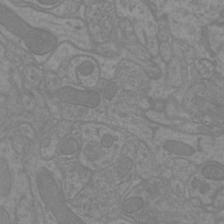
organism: Mouse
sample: Cortical neurons